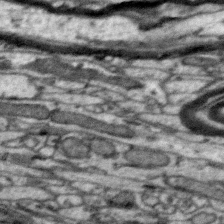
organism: Zebra finch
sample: Brain